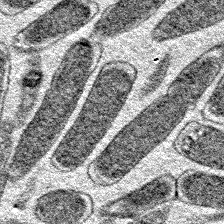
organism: E. coli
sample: E. Coli Bacteria